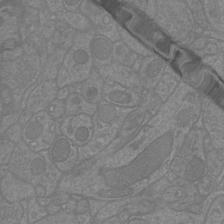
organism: Mouse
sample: Cortical neurons